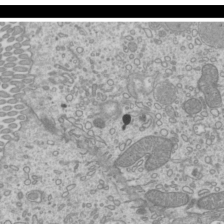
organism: Mouse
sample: Cilia; mouse epididymis